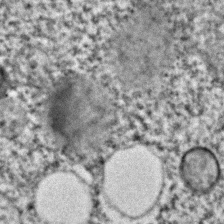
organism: C. elegans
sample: C. elegans embryo